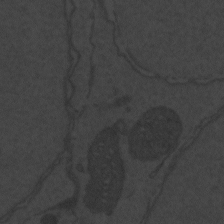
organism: Zebrafish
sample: Macrophage infected with Toxoplasma gondii